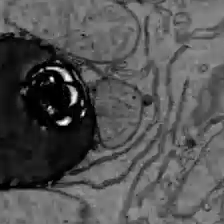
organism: C57BL Mouse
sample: Liver